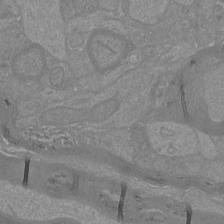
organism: Mouse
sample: Cortical neurons